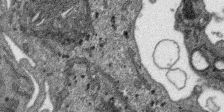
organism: Human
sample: Lung epithelial cells infected with SARS-CoV-2